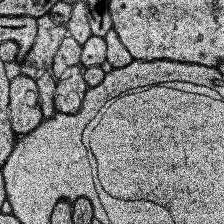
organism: Human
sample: Temporal Lobe